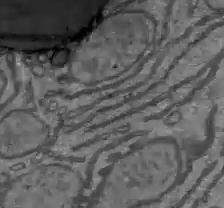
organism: C57BL Mouse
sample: Liver